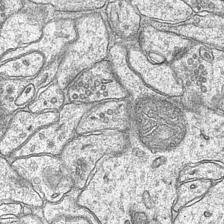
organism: Mouse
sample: CA1 Hippocampus